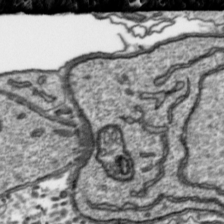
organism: Toxoplasma gondii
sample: Parasites in a vacuole inside a host cell